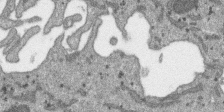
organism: Human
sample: Lung epithelial cells infected with SARS-CoV-2